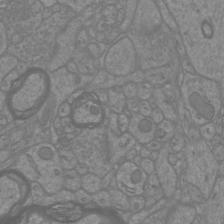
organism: Mouse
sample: Cortical neurons